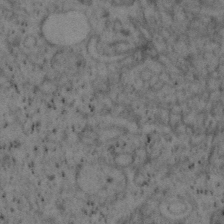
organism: Human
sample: HeLa cells